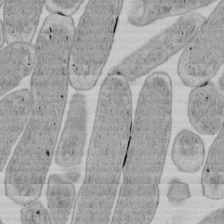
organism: E. coli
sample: Bacterial nucleoid